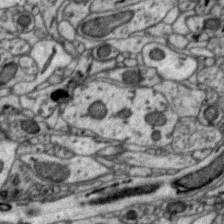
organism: Zebra finch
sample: Brain